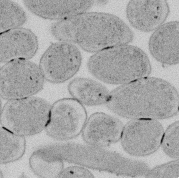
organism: E. coli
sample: Bacterial nucleoid